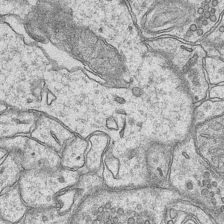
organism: Mouse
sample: CA1 Hippocampus